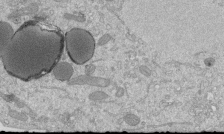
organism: Mouse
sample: ED-1 cell nuclei; centrioles